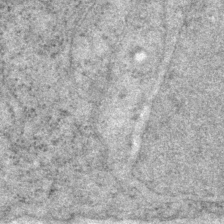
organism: P. pacificus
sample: Pharynx